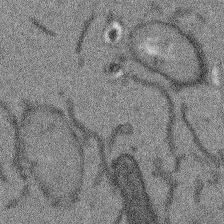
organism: Arabidopsis thaliana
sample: Root tip